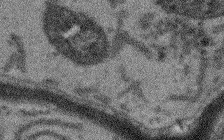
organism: Arabidopsis thaliana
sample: Root tip